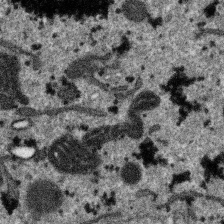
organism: Human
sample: Lung epithelial cells infected with SARS-CoV-2